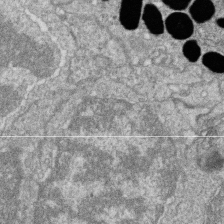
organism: Zebrafish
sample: Cilia; retinal pigment epithelium